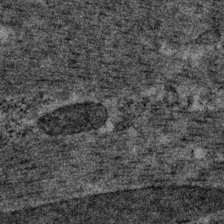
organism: P. pacificus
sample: Pharynx